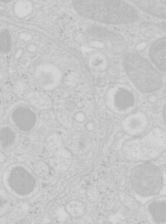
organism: Mouse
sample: Pancreas